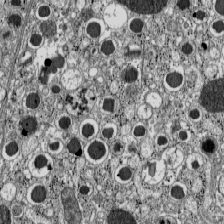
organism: C57BL Mouse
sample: Pancreatic islet